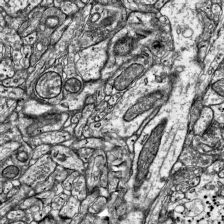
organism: Mouse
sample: Visual Cortex